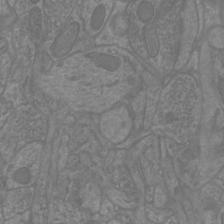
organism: Mouse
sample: Cortical neurons